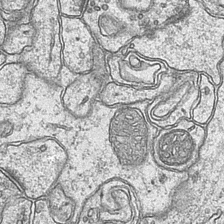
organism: Mouse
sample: CA1 Hippocampus